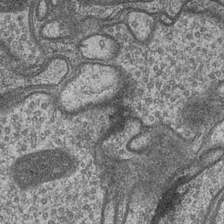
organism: Drosophila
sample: Optic medulla